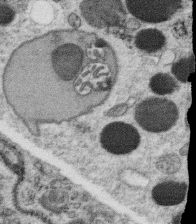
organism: C. elegans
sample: C. elegans oocyte; sperm cells